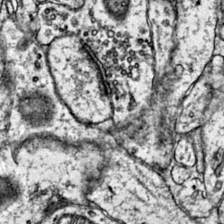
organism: Mouse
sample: Primary visual cortex